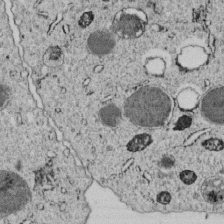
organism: C. elegans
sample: C. elegans embryo early stage